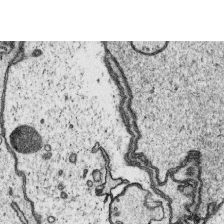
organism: Platynereis dumerilii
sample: Parapodia